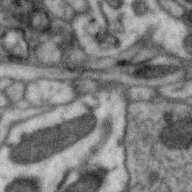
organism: Zebra finch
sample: Brain